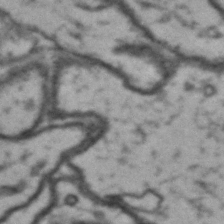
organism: Drosophila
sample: Brain